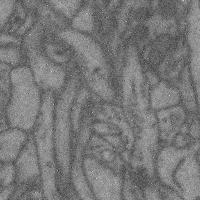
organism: Mouse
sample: Cerebral cortex